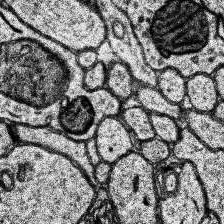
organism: Human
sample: Temporal Lobe